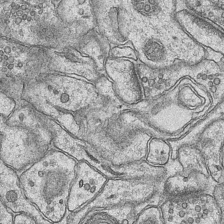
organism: Mouse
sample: CA1 Hippocampus